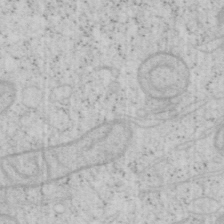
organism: Human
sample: HeLa cells